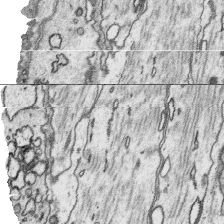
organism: Platynereis dumerilii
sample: Parapodia